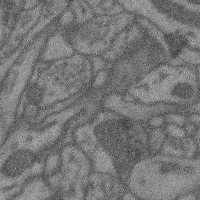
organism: Mouse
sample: Cerebral cortex